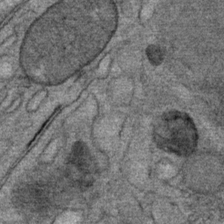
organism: Mouse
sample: Mouse Salivary gland